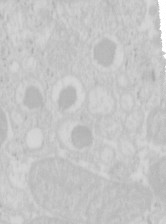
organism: Mouse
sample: Pancreas